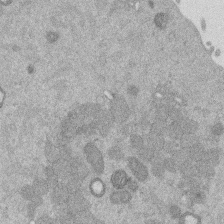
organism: Mouse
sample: Dividing mouse embryo 1 cell stage